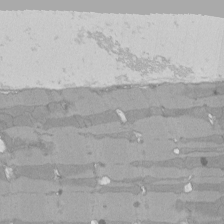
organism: Rat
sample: Left ventricle